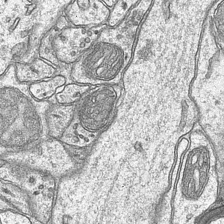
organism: Mouse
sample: CA1 Hippocampus